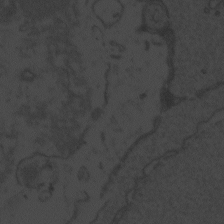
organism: Zebrafish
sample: Macrophage infected with Toxoplasma gondii